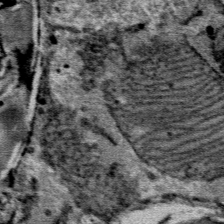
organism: Mouse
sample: Mouse Salivary gland